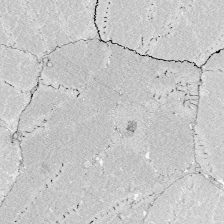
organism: Zebrafish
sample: Whole-Brain